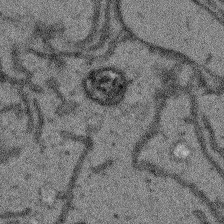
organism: Arabidopsis thaliana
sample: Root tip